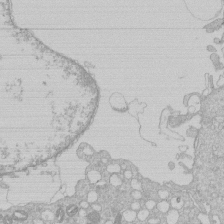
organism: Human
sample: Macrophage cells